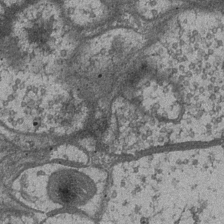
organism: Drosophila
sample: Optic medulla